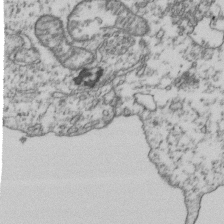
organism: Human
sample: Activated Jurkat CD4+ T cells